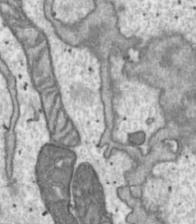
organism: Toxoplasma gondii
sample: Parasites in a vacuole inside a host cell